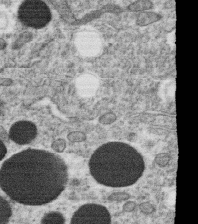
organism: C. elegans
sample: C. elegans oocyte; sperm cells